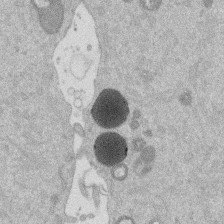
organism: Mouse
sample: Dividing mouse embryo 1 cell stage